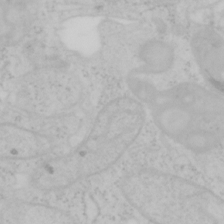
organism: Mouse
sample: OT-I killer T cells with ID8 ovarian cancer cells